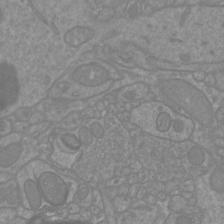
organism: Mouse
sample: Cortical neurons